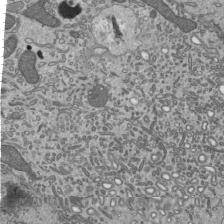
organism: Mouse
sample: Mouse epididymis efferent ductule cilia